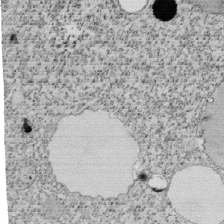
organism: Tetrahymena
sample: Cilia in tetrahymena